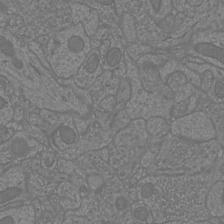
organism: Mouse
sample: Cortical neurons